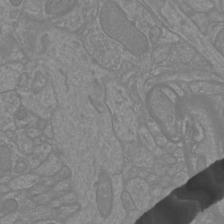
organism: Mouse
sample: Cortical neurons